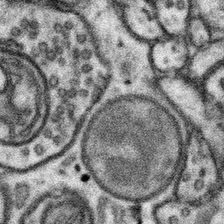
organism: Mouse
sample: Somatosensory cortex neuropil